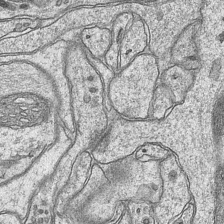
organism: Mouse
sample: CA1 Hippocampus